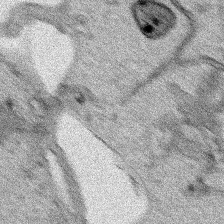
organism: Human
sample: Mitochondria in HCT116 cells